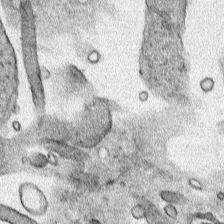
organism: Human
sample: Mitochondria in HCT116 cells